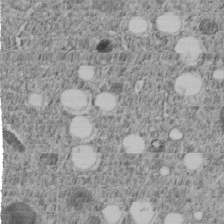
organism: C. elegans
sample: C. elegans embryo early stage